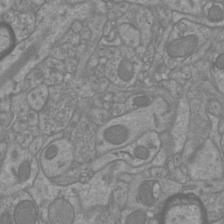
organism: Mouse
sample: Cortical neurons